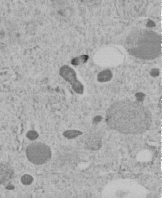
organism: C. elegans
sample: C. elegans embryo early stage